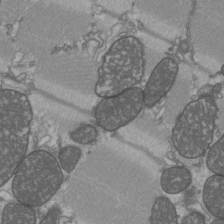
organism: C57BL Mouse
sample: Heart